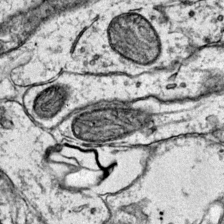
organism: Mouse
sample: Primary visual cortex